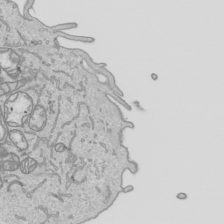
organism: Human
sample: Mitochondria in HCT116 cells